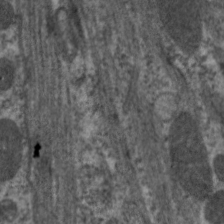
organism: C. elegans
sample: Pharynx